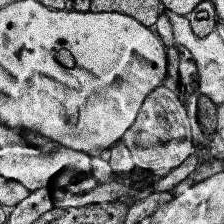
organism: Human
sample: Temporal Lobe